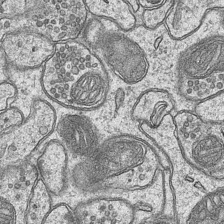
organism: Mouse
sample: CA1 Hippocampus